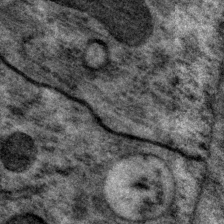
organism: P. pacificus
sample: Pharynx